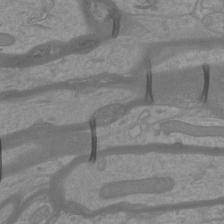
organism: Mouse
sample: Cortical neurons